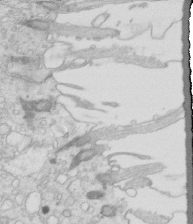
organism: Mouse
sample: Multiciliated cells